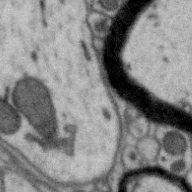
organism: Zebra finch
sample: Brain